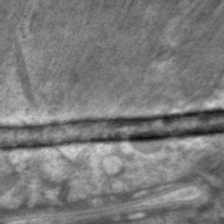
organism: C. elegans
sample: Pharynx